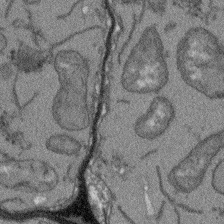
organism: Arabidopsis thaliana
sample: Root tip